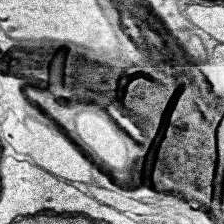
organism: Human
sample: Temporal Lobe